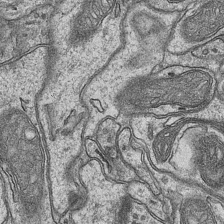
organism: Mouse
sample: CA1 Hippocampus